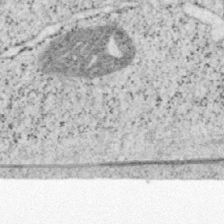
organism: Mouse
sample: OT-I killer T cells with ID8 ovarian cancer cells